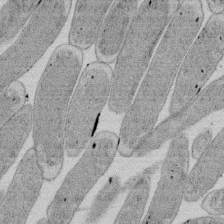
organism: E. coli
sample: Bacterial nucleoid